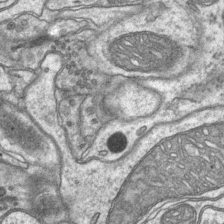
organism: Mouse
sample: CA1 Hippocampus